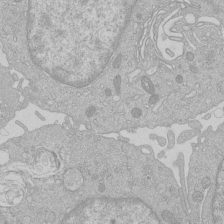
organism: Human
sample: Macrophage cells